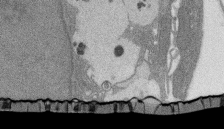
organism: Rat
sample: Salivary granule